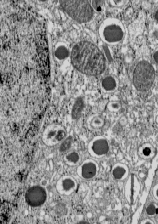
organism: C57BL Mouse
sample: Pancreatic islet